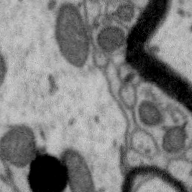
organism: Zebra finch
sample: Brain